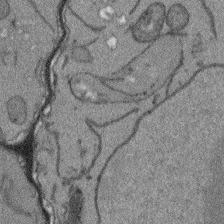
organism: Arabidopsis thaliana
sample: Root tip